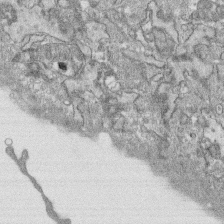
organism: Human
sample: CRL-1474